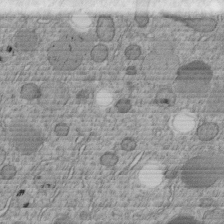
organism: C. elegans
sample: C. elegans embryo early stage